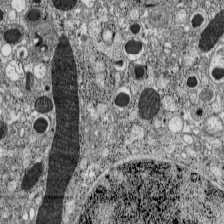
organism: C57BL Mouse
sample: Pancreatic islet